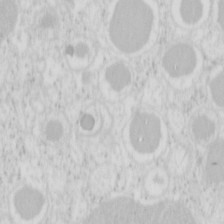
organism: Mouse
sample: Pancreas